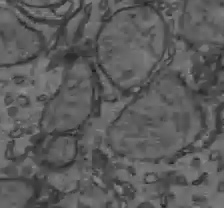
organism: C57BL Mouse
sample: Liver